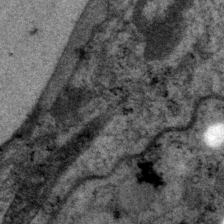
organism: P. pacificus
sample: Pharynx